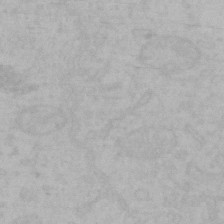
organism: Mouse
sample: Choroid plexus